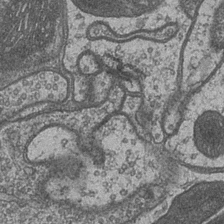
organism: Drosophila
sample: Optic medulla